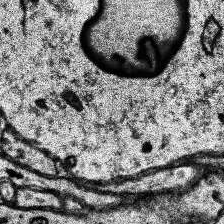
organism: Human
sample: Temporal Lobe